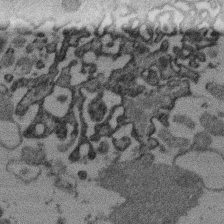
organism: Mouse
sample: Dividing mouse embryo 1 cell stage